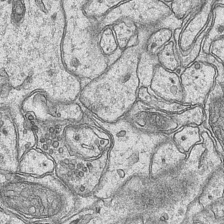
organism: Mouse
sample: CA1 Hippocampus